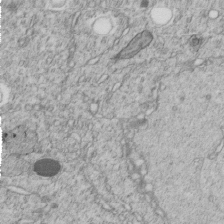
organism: C. elegans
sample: C. elegans embryo early stage